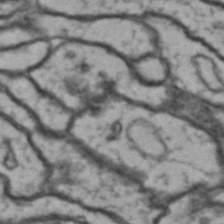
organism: Drosophila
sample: Brain